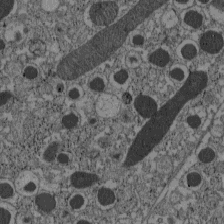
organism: C57BL Mouse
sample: Pancreatic islet